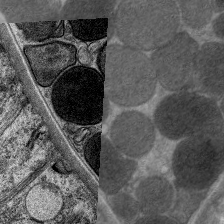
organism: C. elegans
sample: Pharynx